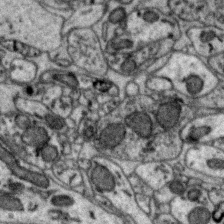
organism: Zebra finch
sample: Brain